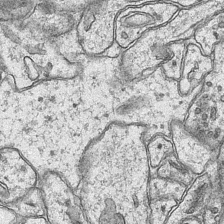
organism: Mouse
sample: CA1 Hippocampus